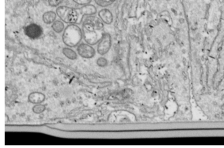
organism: Drosophila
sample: Cell division; meiosis; drosophila spermatocytes